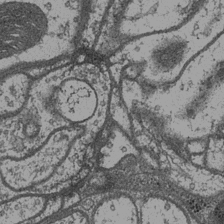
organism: Drosophila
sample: Optic medulla